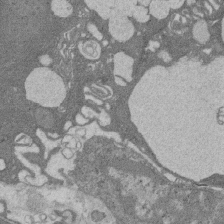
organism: Rat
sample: Salivary granule